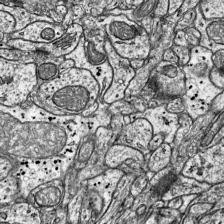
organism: Mouse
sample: Visual Cortex